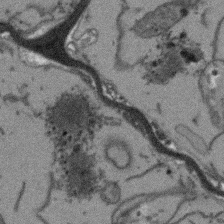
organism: Arabidopsis thaliana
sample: Root tip